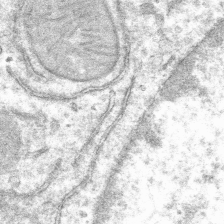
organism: Mouse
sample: Mouse hepatocytes